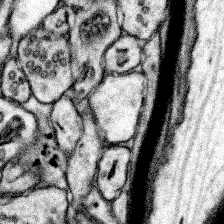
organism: Mouse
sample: Somatosensory cortex neuropil